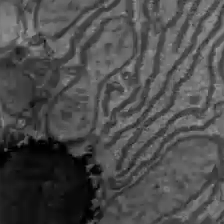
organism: C57BL Mouse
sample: Liver